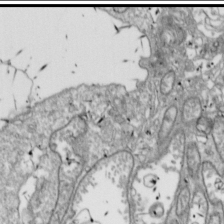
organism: Drosophila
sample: Cell division; meiosis; drosophila spermatocytes